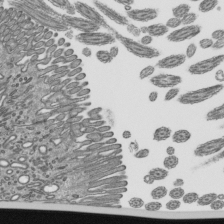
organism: Mouse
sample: Mouse epididymis efferent ductule cilia